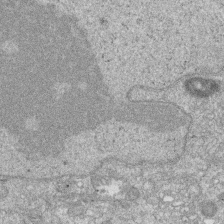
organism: Human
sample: HeLa cell HIV synapse